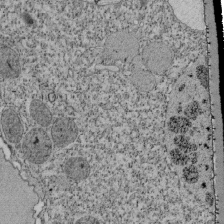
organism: Tetrahymena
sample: Cilia in tetrahymena